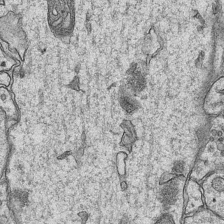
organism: Mouse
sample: CA1 Hippocampus